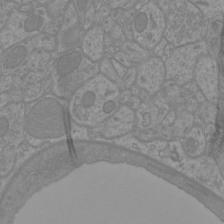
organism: Mouse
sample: Cortical neurons